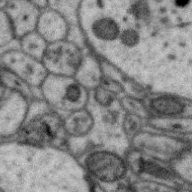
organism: Zebra finch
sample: Brain